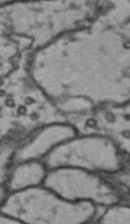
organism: Drosophila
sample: Brain